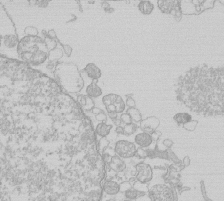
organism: Human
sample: Macrophage cells